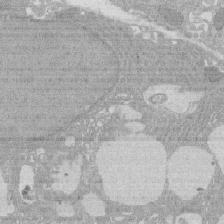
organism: Rat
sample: Salivary granule